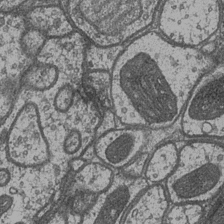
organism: Drosophila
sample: Optic medulla